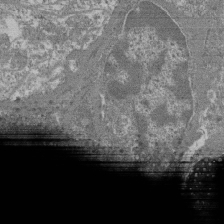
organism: Mouse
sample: Glomerulus